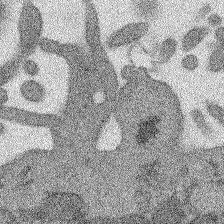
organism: Human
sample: HeLa cells